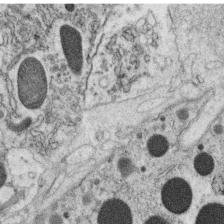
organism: C. elegans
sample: C. elegans oocyte; sperm cells